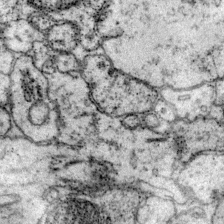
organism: Mouse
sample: Primary visual cortex